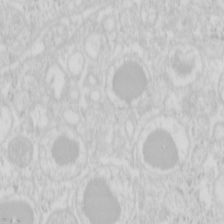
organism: Mouse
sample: Pancreas